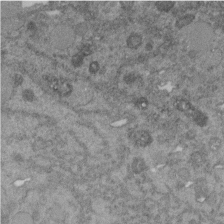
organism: C. elegans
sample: C. elegans embryo early stage